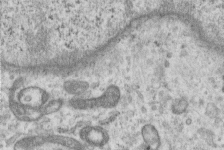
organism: Human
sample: Centriole in RPE cells